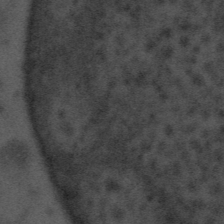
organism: Tuwongella immobilis